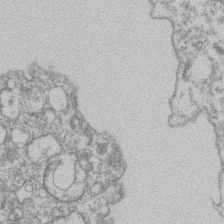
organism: Mouse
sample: T cell stromal cell synapse